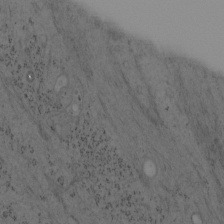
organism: Mouse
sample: OT-I killer T cells with ID8 ovarian cancer cells